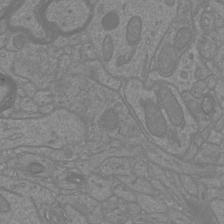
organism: Mouse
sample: Cortical neurons